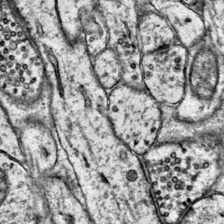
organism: Mouse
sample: Primary visual cortex